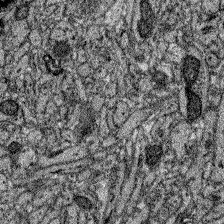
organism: Zebrafish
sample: Larval olfactory bulb